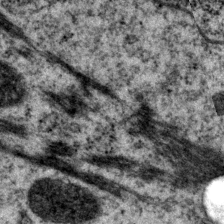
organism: P. pacificus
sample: Pharynx